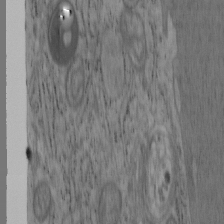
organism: Human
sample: HeLa cells